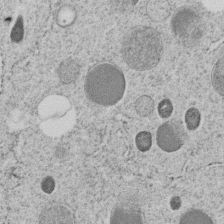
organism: C. elegans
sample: C. elegans embryo early stage